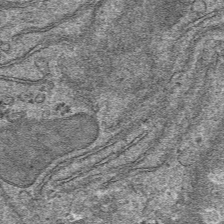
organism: Mouse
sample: Mouse hepatocytes